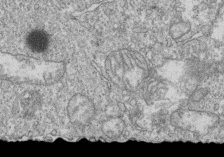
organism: Human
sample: HeLa cell HIV synapse